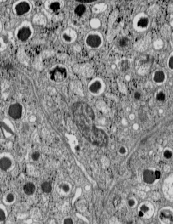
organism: C57BL Mouse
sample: Pancreatic islet